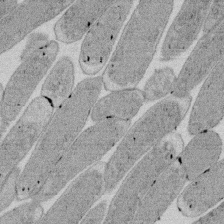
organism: E. coli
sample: Bacterial nucleoid